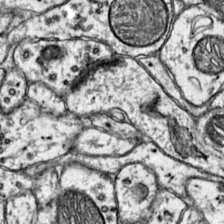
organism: Mouse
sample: Primary visual cortex